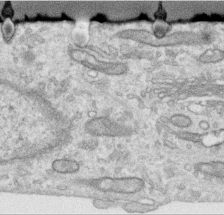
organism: Human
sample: Centriole in RPE cells